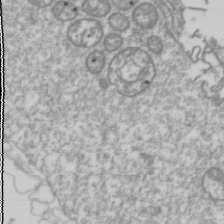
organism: Drosophila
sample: Cell division; meiosis; drosophila spermatocytes